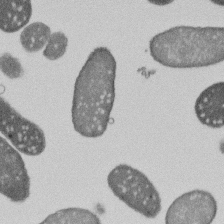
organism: E. coli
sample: Bacterial nucleoid